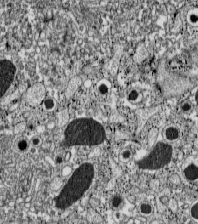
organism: C57BL Mouse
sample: Pancreatic islet